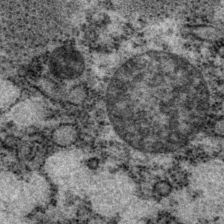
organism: P. pacificus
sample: Pharynx